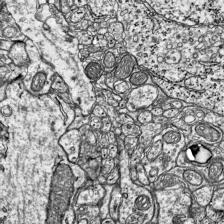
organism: Mouse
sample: Visual Cortex